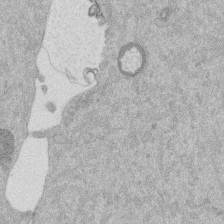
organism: Mouse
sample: Dividing mouse embryo 1 cell stage